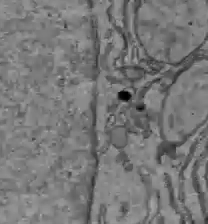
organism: C57BL Mouse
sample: Liver